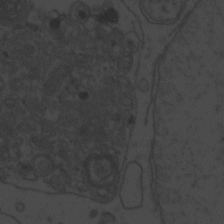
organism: Zebrafish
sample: Macrophage infected with Toxoplasma gondii